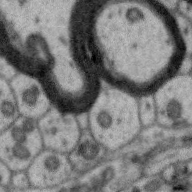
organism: Zebra finch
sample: Brain